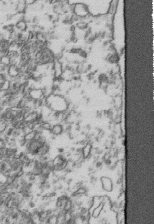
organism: Human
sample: Activated Jurkat CD4+ T cells